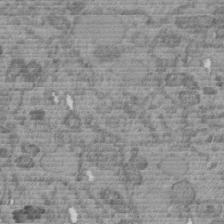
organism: C. elegans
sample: C. elegans embryo early stage